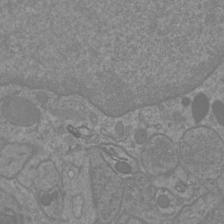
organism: Mouse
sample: Cortical neurons